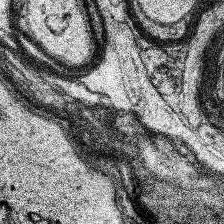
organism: Human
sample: Temporal Lobe